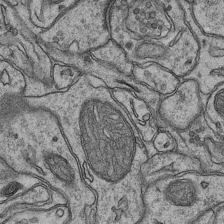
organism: Mouse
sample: CA1 Hippocampus